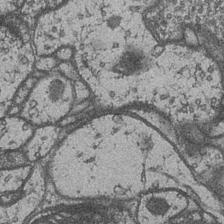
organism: Drosophila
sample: Optic medulla